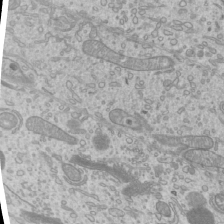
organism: Mouse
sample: Cilia; mouse epididymis